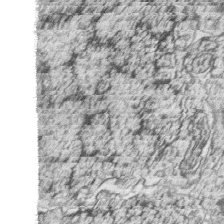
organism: Zebrafish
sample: synaptic ribbons in rod cells and cone cells